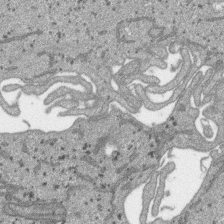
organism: Human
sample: Lung epithelial cells infected with SARS-CoV-2